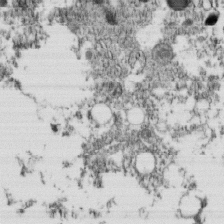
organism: C. elegans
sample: C. elegans embryo early stage